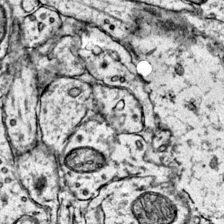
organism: Mouse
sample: Primary visual cortex